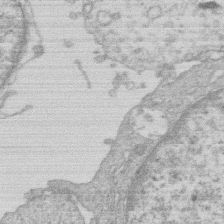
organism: Human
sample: Macrophage cells